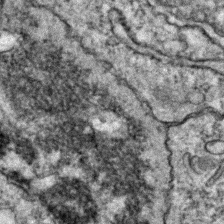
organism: Zebrafish